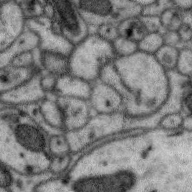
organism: Zebra finch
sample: Brain